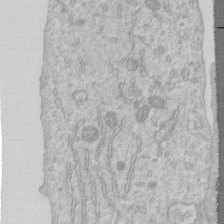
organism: Human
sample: Centriole in RPE cells